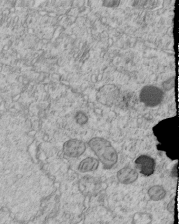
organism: C. elegans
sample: C. elegans embryo early stage